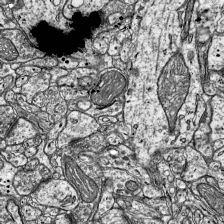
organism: Mouse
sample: Visual Cortex